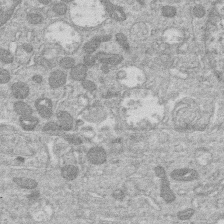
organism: Human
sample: Macrophage cells